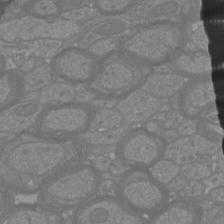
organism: Mouse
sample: Cortical neurons